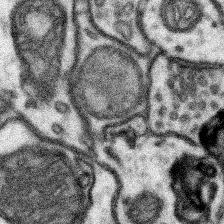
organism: Mouse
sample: Somatosensory cortex neuropil